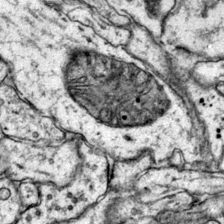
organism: Mouse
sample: Primary visual cortex